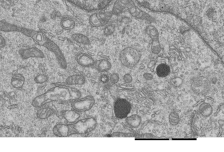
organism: Human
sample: MDA-MB-231 cells